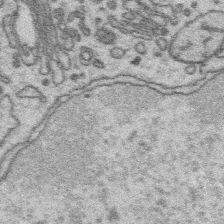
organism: Platynereis dumerilii